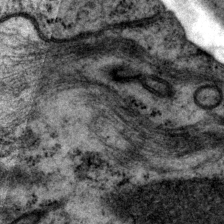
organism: P. pacificus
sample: Pharynx